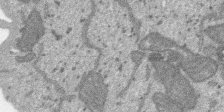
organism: Human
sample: Lung epithelial cells infected with SARS-CoV-2